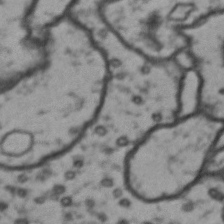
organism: Drosophila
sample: Brain